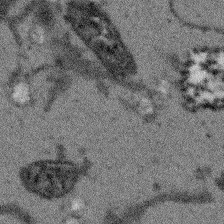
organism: Arabidopsis thaliana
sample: Root tip